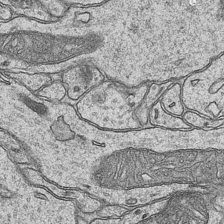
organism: Mouse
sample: CA1 Hippocampus